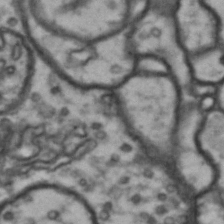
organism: Drosophila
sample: Brain